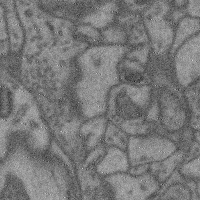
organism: Mouse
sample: Cerebral cortex